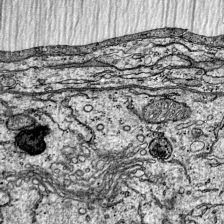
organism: Mouse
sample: Visual Cortex